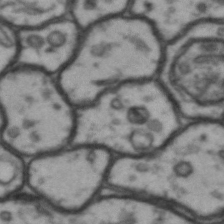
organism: Drosophila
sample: Brain